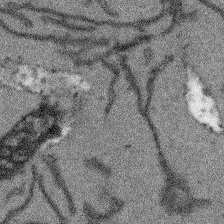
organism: Arabidopsis thaliana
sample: Root tip